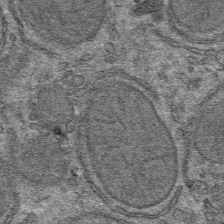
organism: Mouse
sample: Mouse hepatocytes